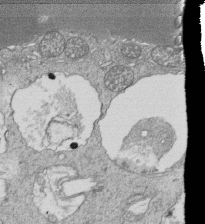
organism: Tetrahymena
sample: Cilia in tetrahymena